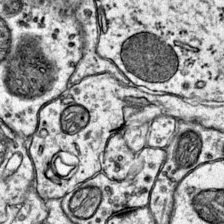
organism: Mouse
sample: Primary visual cortex